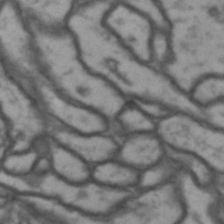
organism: Drosophila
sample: Brain